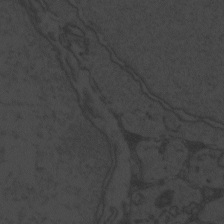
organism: Zebrafish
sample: Macrophage infected with Toxoplasma gondii